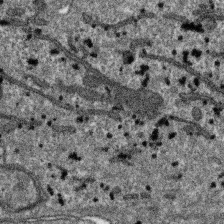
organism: Human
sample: Lung epithelial cells infected with SARS-CoV-2